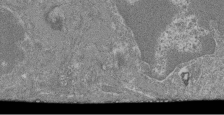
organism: Mouse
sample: Glomerulus